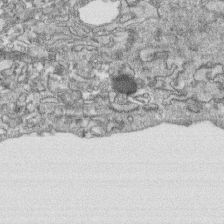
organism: Human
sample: CRL-1474